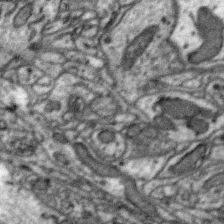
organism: Zebra finch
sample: Brain